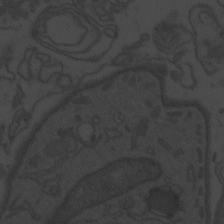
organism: Zebrafish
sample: Macrophage infected with Toxoplasma gondii